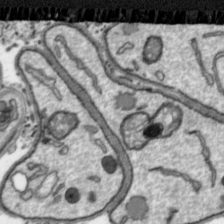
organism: Toxoplasma gondii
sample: Parasites in a vacuole inside a host cell